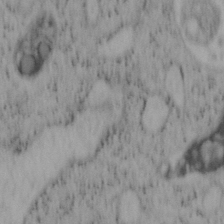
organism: Mouse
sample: OT-I killer T cells with ID8 ovarian cancer cells